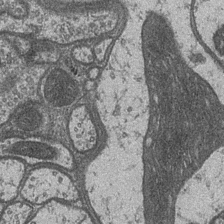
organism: Drosophila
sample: Optic medulla